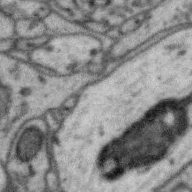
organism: Zebra finch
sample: Brain